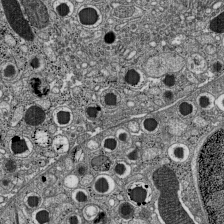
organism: C57BL Mouse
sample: Pancreatic islet